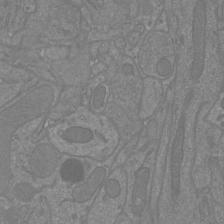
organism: Mouse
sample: Cortical neurons